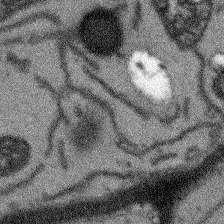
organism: Arabidopsis thaliana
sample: Root tip